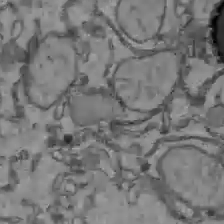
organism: C57BL Mouse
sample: Liver